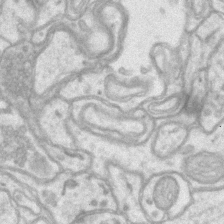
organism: Mouse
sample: CA1 Hippocampus